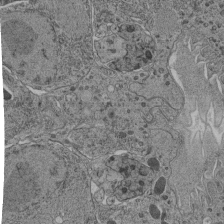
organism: C. elegans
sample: C. elegans pharynx